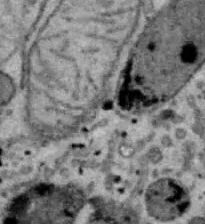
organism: Mouse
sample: Liver from an obese (ob/ob) mouse